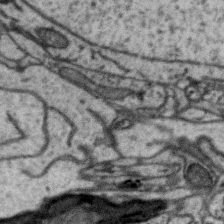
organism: Zebra finch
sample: Brain